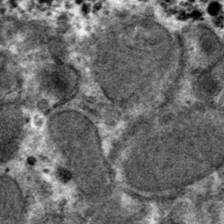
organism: Mouse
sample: Mouse hepatocytes